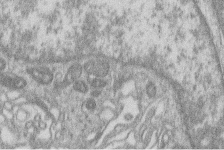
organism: Human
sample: Macrophage cells